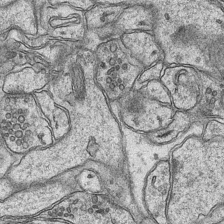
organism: Mouse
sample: CA1 Hippocampus